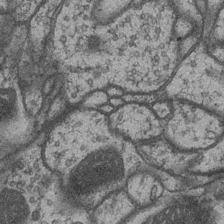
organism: Drosophila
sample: Optic medulla